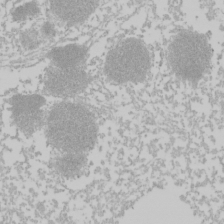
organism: Mouse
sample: Cancer cell death in ED-1 cells